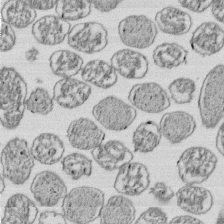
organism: E. coli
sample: Bacterial nucleoid